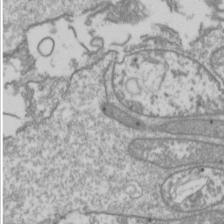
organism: Drosophila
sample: Cell division; meiosis; drosophila spermatocytes